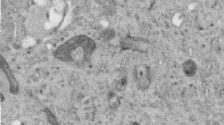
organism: Human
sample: Centriole in RPE cells